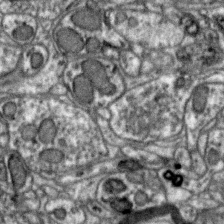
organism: Zebra finch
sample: Brain